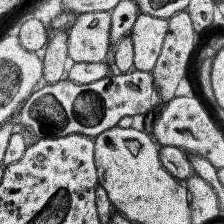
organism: Human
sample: Temporal Lobe